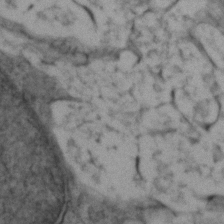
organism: Zebrafish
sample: Zebrafish embryo